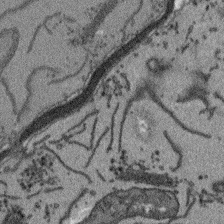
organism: Arabidopsis thaliana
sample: Root tip